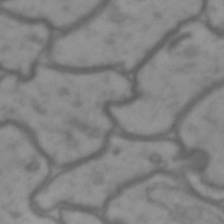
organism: Drosophila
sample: Brain